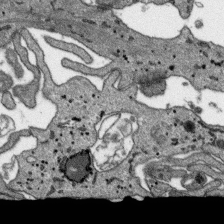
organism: Human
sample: Lung epithelial cells, uninfected (mock) control